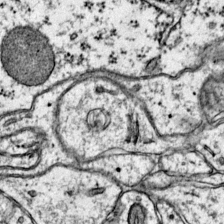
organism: Mouse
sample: Primary visual cortex